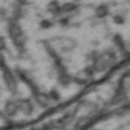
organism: Drosophila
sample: Brain